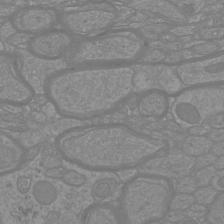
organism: Mouse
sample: Cortical neurons